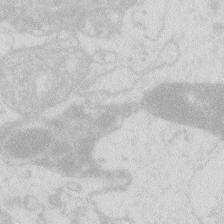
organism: Zebrafish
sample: Macrophage